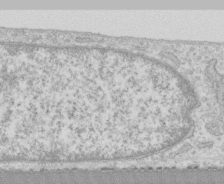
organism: Human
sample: CRL-1474